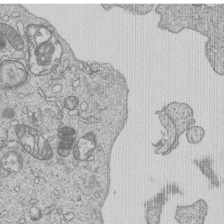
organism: Human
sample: MDA-MB-231 cells